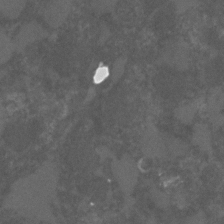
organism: C. elegans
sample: C. elegans embryo